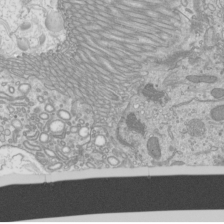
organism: Mouse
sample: Cilia; mouse epididymis